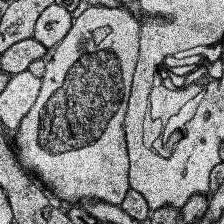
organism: Human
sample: Temporal Lobe